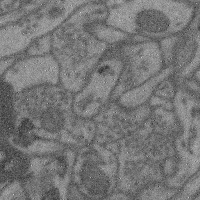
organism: Mouse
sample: Cerebral cortex